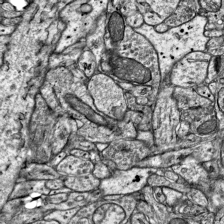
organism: Mouse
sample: Visual Cortex